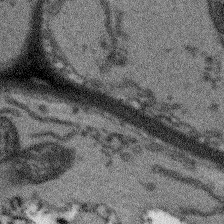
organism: Arabidopsis thaliana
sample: Root tip